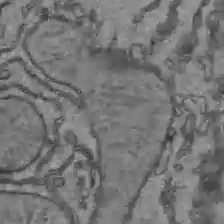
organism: C57BL Mouse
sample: Liver